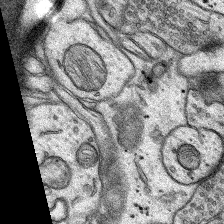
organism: Rat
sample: Hippocampus